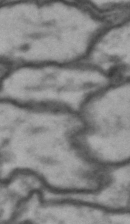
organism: Drosophila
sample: Brain